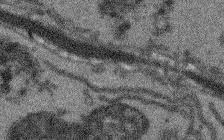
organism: Arabidopsis thaliana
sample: Root tip